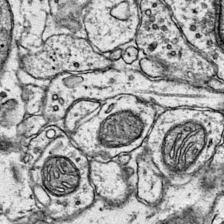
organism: Mouse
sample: Primary visual cortex